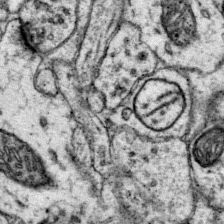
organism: Mouse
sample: Primary visual cortex